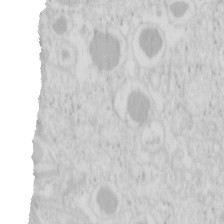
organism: Mouse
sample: Pancreas